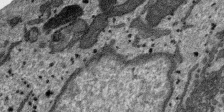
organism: Human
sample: Lung epithelial cells, uninfected (mock) control